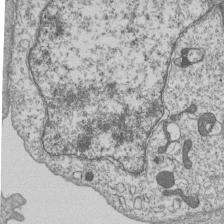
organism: Human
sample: MDA-MB-231 cells